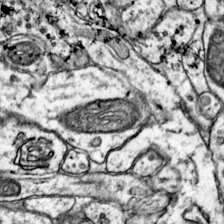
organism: Mouse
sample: Primary visual cortex